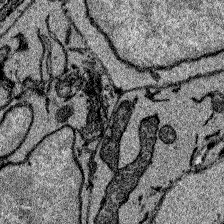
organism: Zebrafish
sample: Larval olfactory bulb